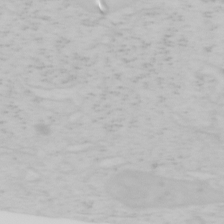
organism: Mouse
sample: OT-I killer T cells with ID8 ovarian cancer cells